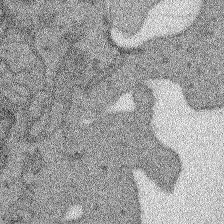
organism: Human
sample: HeLa cells